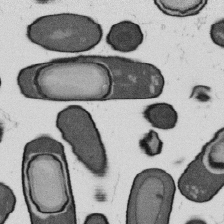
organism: B. subtilis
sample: Bacterial spore